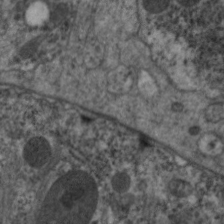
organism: C. elegans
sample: Pharynx